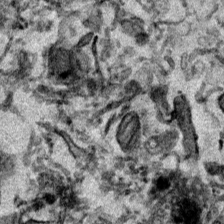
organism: Mouse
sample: Cancer cell death in ED-1 cells